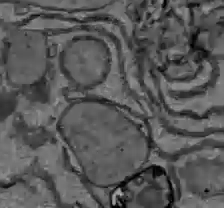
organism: C57BL Mouse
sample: Liver